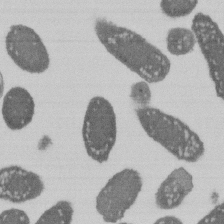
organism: E. coli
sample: Bacterial nucleoid